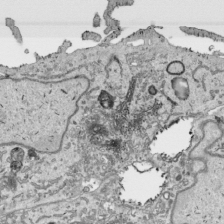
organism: Human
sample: Mitochondria in HCT116 cells